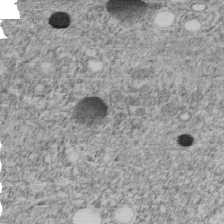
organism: C. elegans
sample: C. elegans embryo early stage